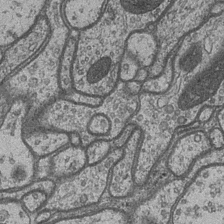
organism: Drosophila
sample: Optic medulla